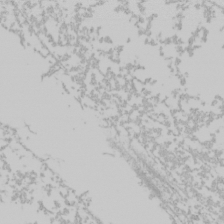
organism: Mouse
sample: Cancer cell death in ED-1 cells